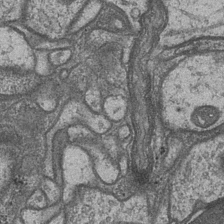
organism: Drosophila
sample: Optic medulla